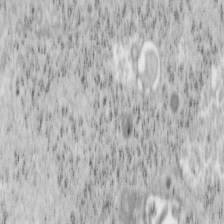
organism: Human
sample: HeLa cells